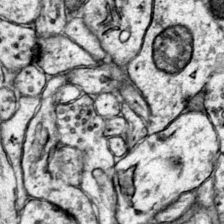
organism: Mouse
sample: Primary visual cortex